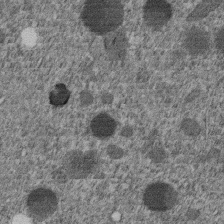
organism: C. elegans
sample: C. elegans embryo early stage